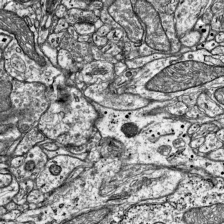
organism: Mouse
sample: Visual Cortex